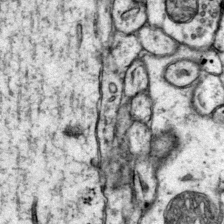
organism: Mouse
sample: Primary visual cortex